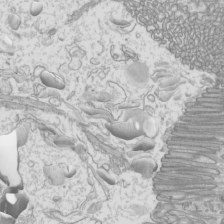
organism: Mouse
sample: Cilia; mouse epididymis